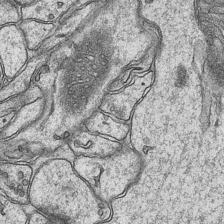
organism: Mouse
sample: CA1 Hippocampus